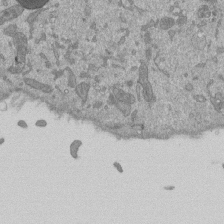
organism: Mouse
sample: ED-1 cell nuclei; centrioles